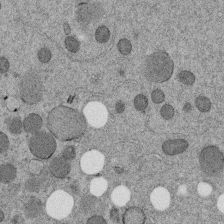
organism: C. elegans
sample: C. elegans embryo early stage